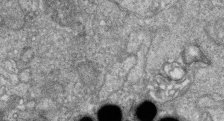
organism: Zebrafish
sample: Cilia; retinal pigment epithelium